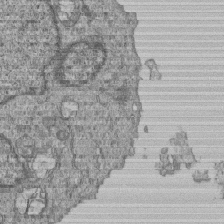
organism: Human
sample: MDA-MB-231 cells